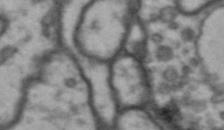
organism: Drosophila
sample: Brain